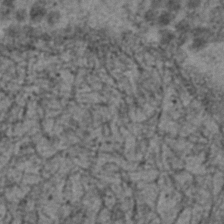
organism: C. elegans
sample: C. elegans embryo